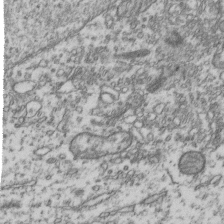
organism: Human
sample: Activated Jurkat CD4+ T cells